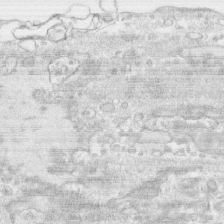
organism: Human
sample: CRL-1474